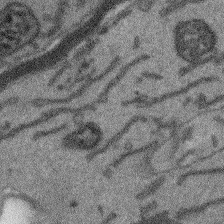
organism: Arabidopsis thaliana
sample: Root tip